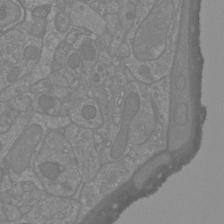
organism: Mouse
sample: Cortical neurons